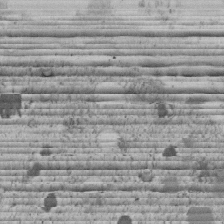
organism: C. elegans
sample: C. elegans embryo early stage